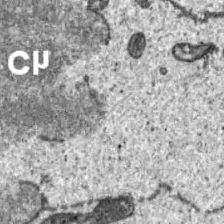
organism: Human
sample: HeLa cells